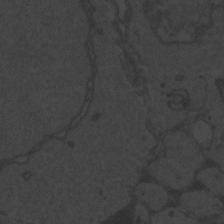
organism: Zebrafish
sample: Macrophage infected with Toxoplasma gondii